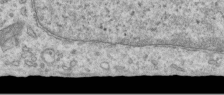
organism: Human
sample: Centriole in RPE cells